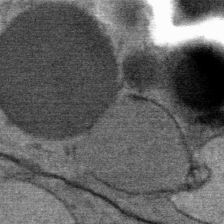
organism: Mouse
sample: Mouse Salivary gland